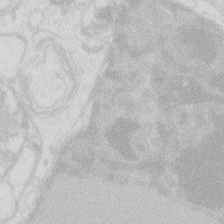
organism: Zebrafish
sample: Macrophage